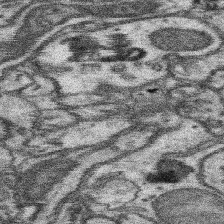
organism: Mouse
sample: Somatosensory cortex neuropil